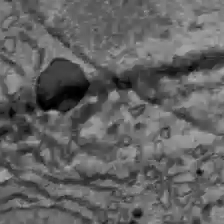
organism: C57BL Mouse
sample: Liver